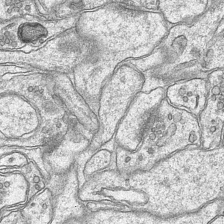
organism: Mouse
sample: CA1 Hippocampus